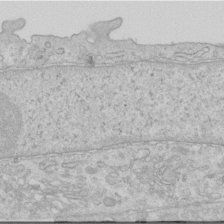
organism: Human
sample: Centriole in RPE cells